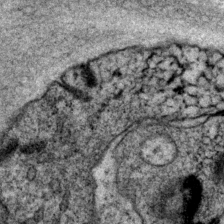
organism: P. pacificus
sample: Pharynx